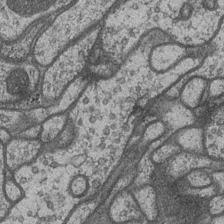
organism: Drosophila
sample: Optic medulla